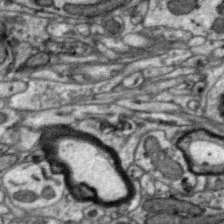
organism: Zebra finch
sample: Brain